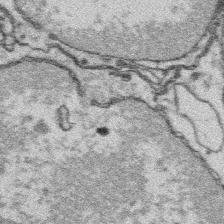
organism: Platynereis dumerilii